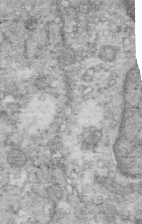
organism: Mouse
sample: Multiciliated cells